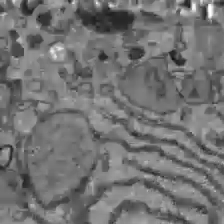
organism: C57BL Mouse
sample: Liver